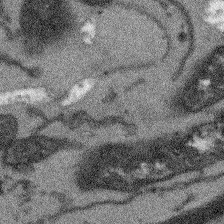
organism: Arabidopsis thaliana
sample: Root tip